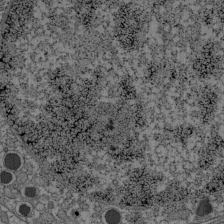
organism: C57BL Mouse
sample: Pancreatic islet